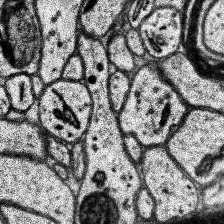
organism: Human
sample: Temporal Lobe